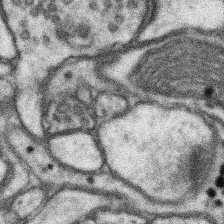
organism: Mouse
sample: Somatosensory cortex neuropil